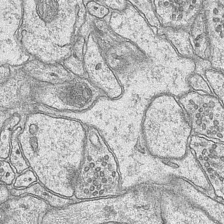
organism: Mouse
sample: CA1 Hippocampus